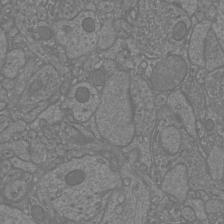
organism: Mouse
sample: Cortical neurons